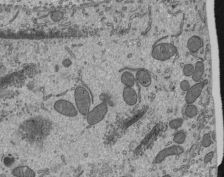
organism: Mouse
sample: Mouse epididymis efferent ductule cilia